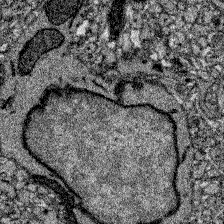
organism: Zebrafish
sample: Larval olfactory bulb